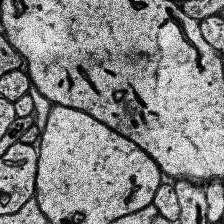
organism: Human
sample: Temporal Lobe